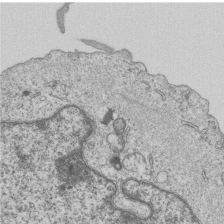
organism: Human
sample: MDA-MB-231 cells